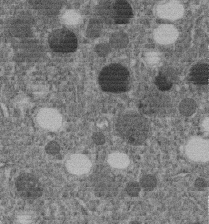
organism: C. elegans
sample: C. elegans embryo early stage